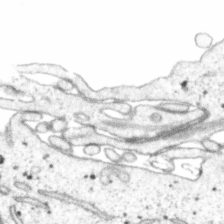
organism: Human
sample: HeLa cells